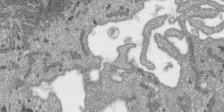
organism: Human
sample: Lung epithelial cells infected with SARS-CoV-2